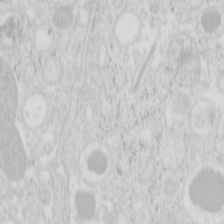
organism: Mouse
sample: Pancreas